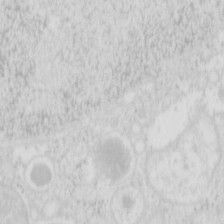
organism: Mouse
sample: Pancreas